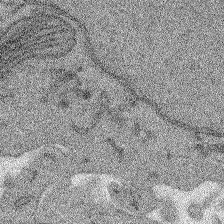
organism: Human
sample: HeLa cells